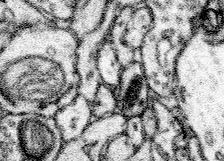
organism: Mouse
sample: Somatosensory cortex neuropil